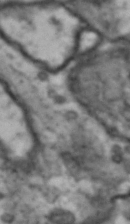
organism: Drosophila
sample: Brain